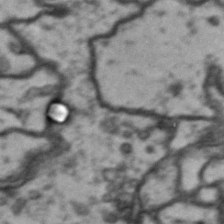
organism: Drosophila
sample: Brain